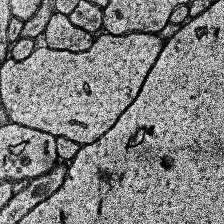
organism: Human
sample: Temporal Lobe